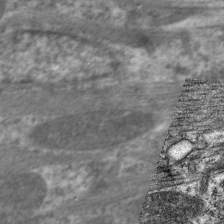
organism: C. elegans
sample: Pharynx